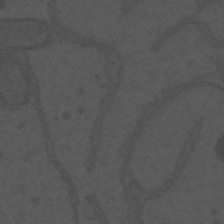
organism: Mouse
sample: Suprachiasmatic nucleus